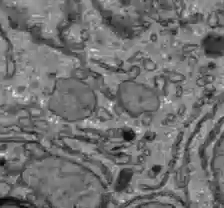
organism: C57BL Mouse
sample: Liver